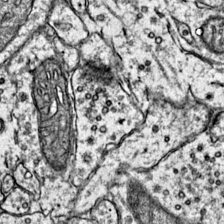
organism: Mouse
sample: Primary visual cortex